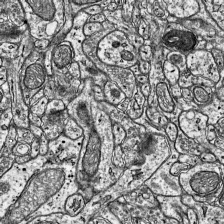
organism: Mouse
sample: Visual Cortex